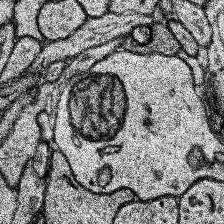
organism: Human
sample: Temporal Lobe